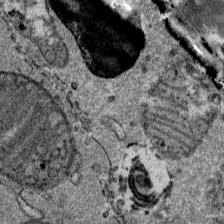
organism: Mouse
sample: Mouse Salivary gland